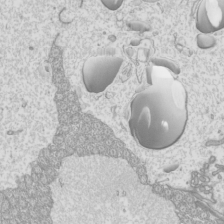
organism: Mouse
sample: Cilia; mouse epididymis